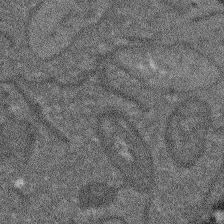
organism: Arabidopsis thaliana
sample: Root tip